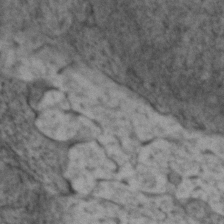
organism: Zebrafish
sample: Zebrafish embryo